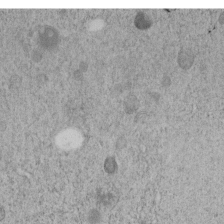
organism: C. elegans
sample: C. elegans embryo early stage